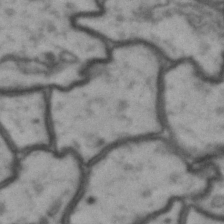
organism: Drosophila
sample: Brain